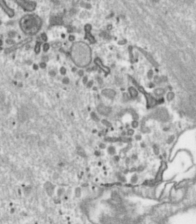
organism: Toxoplasma gondii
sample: Parasites in a vacuole inside a host cell